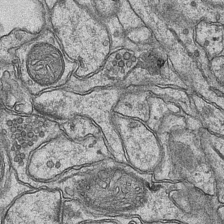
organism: Mouse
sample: CA1 Hippocampus